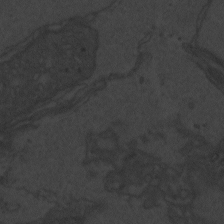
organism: Zebrafish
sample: Macrophage infected with Toxoplasma gondii